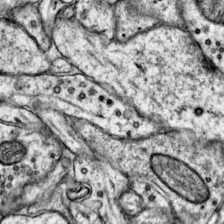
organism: Mouse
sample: Primary visual cortex